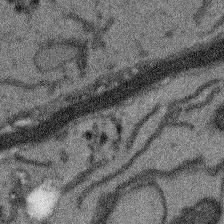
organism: Arabidopsis thaliana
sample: Root tip